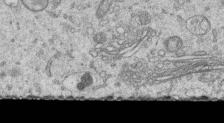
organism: Human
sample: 1205lu cells